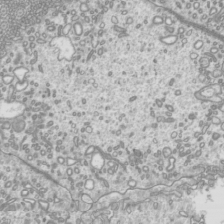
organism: Mouse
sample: Cilia; mouse epididymis